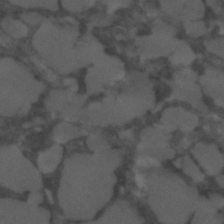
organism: C. elegans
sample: C. elegans embryo